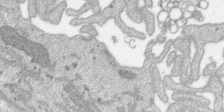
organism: Human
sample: Lung epithelial cells infected with SARS-CoV-2